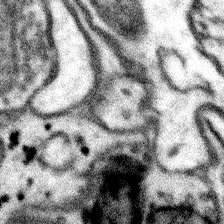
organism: Mouse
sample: Somatosensory cortex neuropil